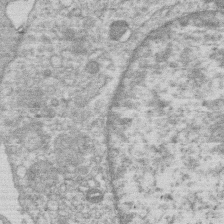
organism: Human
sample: Macrophage cells